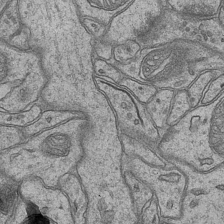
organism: Mouse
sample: CA1 Hippocampus